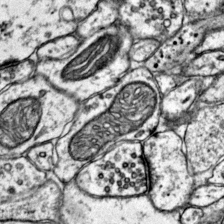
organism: Mouse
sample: Primary visual cortex